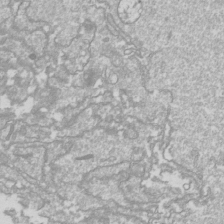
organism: Drosophila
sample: Cell division; meiosis; drosophila spermatocytes